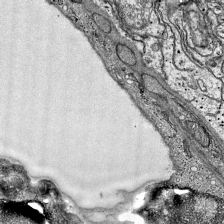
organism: Mouse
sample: Visual Cortex